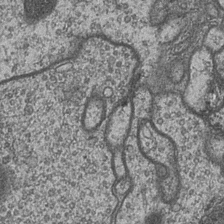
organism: Drosophila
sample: Optic medulla